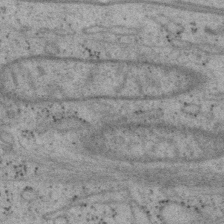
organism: Human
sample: HeLa cells